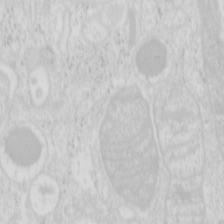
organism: Mouse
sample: Pancreas